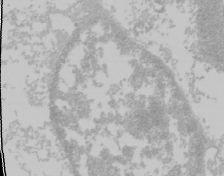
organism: Mouse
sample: Cancer cell death in ED-1 cells